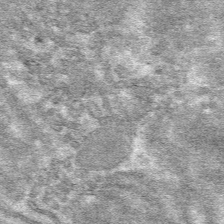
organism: Mouse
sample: Mouse hepatocytes